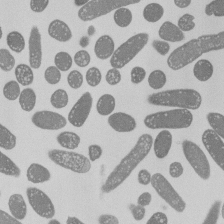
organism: E. coli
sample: Bacterial nucleoid